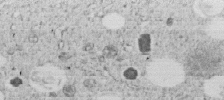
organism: C. elegans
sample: C. elegans embryo early stage